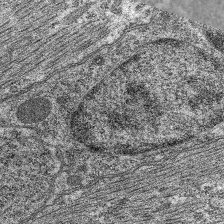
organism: C. elegans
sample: Pharynx